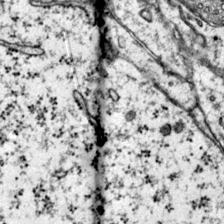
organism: Mouse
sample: Primary visual cortex